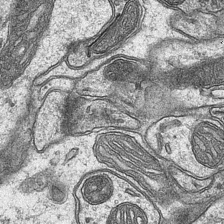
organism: Mouse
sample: CA1 Hippocampus